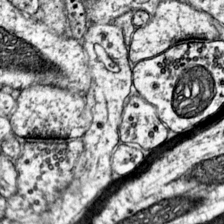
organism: Mouse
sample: Primary visual cortex